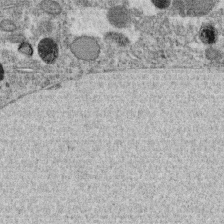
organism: C. elegans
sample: C. elegans oocyte; sperm cells